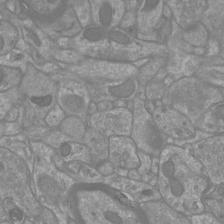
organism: Mouse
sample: Cortical neurons